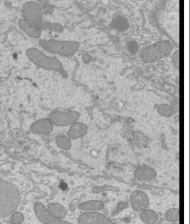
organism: Mouse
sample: Cilia; mouse epididymis